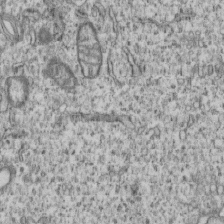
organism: Human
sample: MDA-MB-231 cells